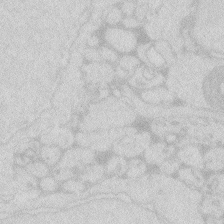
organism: Zebrafish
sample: Macrophage